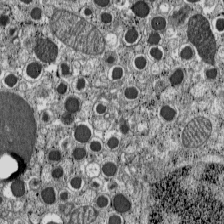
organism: C57BL Mouse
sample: Pancreatic islet